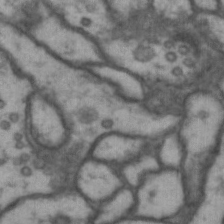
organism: Drosophila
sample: Brain